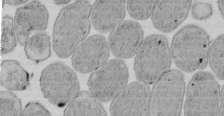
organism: E. coli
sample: Bacterial nucleoid